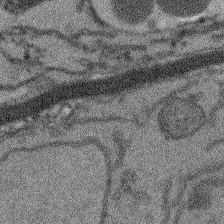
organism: Arabidopsis thaliana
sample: Root tip